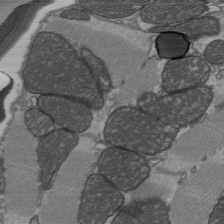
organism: C57BL Mouse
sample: Heart